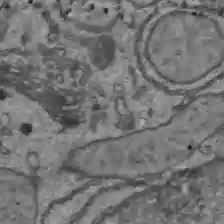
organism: C57BL Mouse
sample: Liver